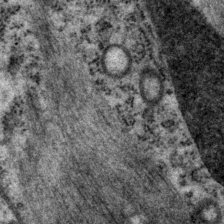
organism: P. pacificus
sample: Pharynx